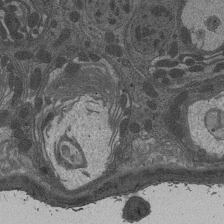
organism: Drosophila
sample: Antenna